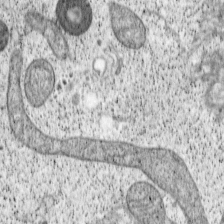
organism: African green monkey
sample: COS-7 cells